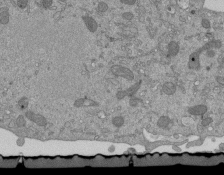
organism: Mouse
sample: ED-1 cell nuclei; centrioles